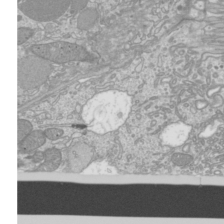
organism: Mouse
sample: Cilia; mouse epididymis